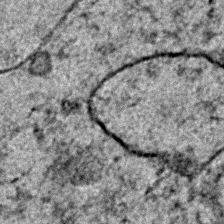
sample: Trachea